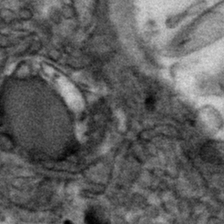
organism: Mouse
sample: Mouse hepatocytes